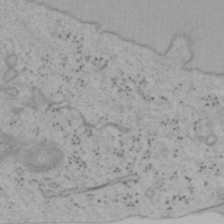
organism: Human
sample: HeLa cells